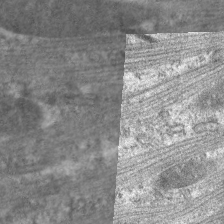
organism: C. elegans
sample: Pharynx